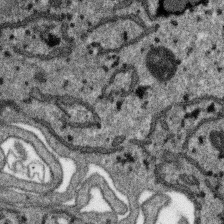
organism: Human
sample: Lung epithelial cells infected with SARS-CoV-2